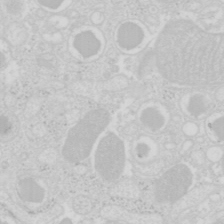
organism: Mouse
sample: Pancreas